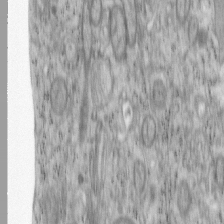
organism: Human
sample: HeLa cells